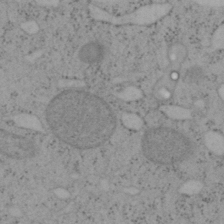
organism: Mouse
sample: OT-I killer T cells with ID8 ovarian cancer cells